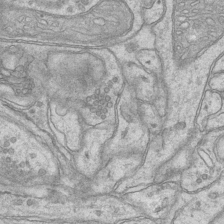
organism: Mouse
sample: CA1 Hippocampus